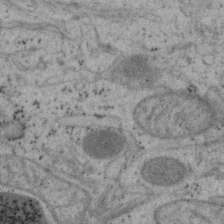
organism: Human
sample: HeLa cells